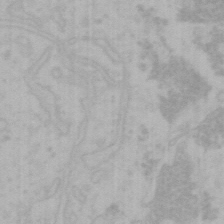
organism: Mouse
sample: Choroid plexus